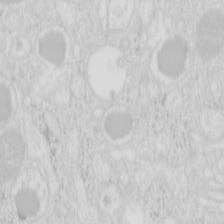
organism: Mouse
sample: Pancreas